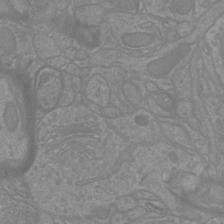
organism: Mouse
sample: Cortical neurons